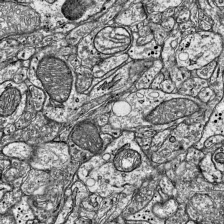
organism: Mouse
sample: Visual Cortex